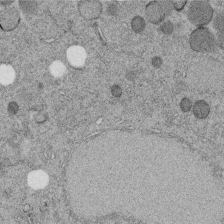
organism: C. elegans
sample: C. elegans embryo early stage